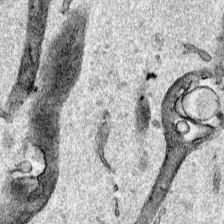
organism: Human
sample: Mitochondria in HCT116 cells